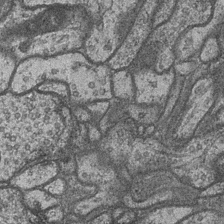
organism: Drosophila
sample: Optic medulla